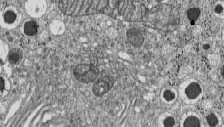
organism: C57BL Mouse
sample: Pancreatic islet